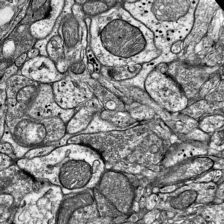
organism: Mouse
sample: Visual Cortex